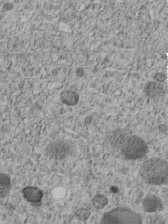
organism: C. elegans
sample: C. elegans embryo early stage